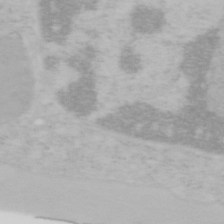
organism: Mouse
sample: OT-I killer T cells with ID8 ovarian cancer cells